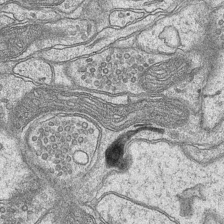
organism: Mouse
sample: CA1 Hippocampus